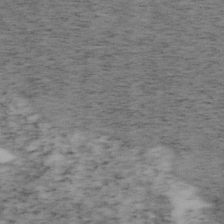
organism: Mouse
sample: OT-I killer T cells with ID8 ovarian cancer cells